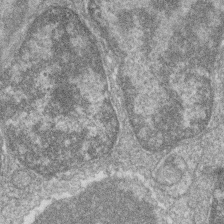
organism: Zebrafish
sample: Cilia; retinal pigment epithelium